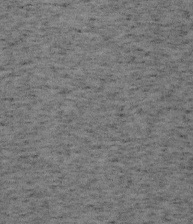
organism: Mouse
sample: OT-I killer T cells with ID8 ovarian cancer cells